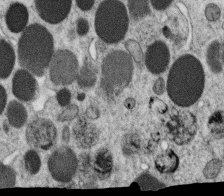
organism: C. elegans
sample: C. elegans oocyte; sperm cells